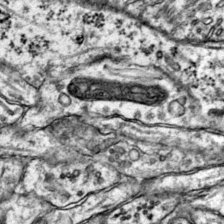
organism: Mouse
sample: Primary visual cortex